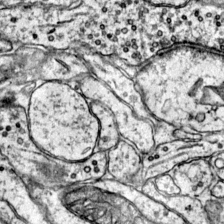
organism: Mouse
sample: Primary visual cortex